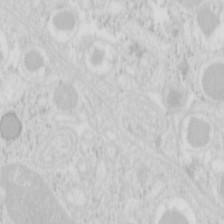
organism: Mouse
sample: Pancreas